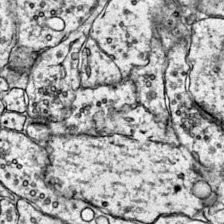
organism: Mouse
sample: Primary visual cortex